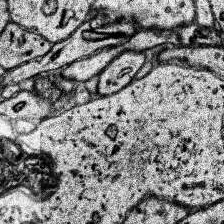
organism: Human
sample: Temporal Lobe